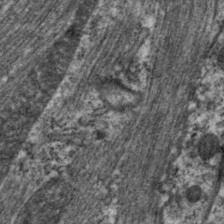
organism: C. elegans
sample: Pharynx